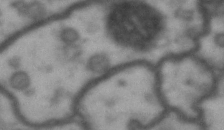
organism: Drosophila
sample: Brain